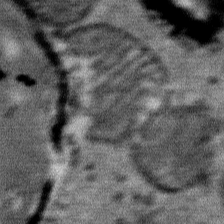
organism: Mouse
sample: Mouse Salivary gland